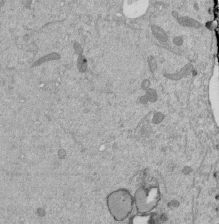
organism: Mouse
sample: ED-1 cell nuclei; centrioles